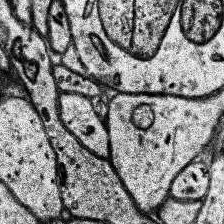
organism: Human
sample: Temporal Lobe